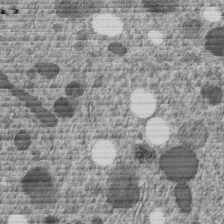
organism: C. elegans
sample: C. elegans embryo early stage